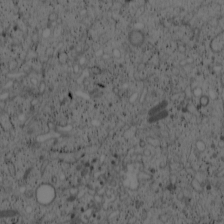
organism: African green monkey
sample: COS-7 cells